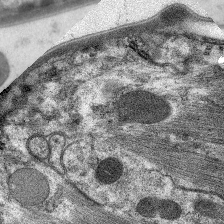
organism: C. elegans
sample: Pharynx